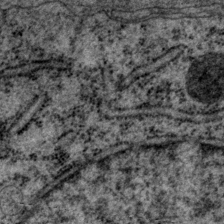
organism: P. pacificus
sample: Pharynx